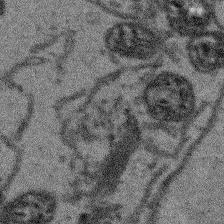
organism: Arabidopsis thaliana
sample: Root tip